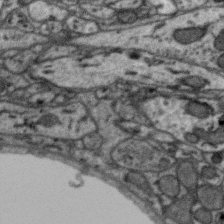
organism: Zebra finch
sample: Brain